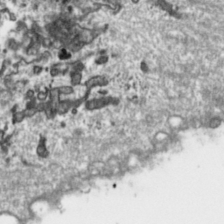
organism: Toxoplasma gondii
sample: Parasites in a vacuole inside a host cell